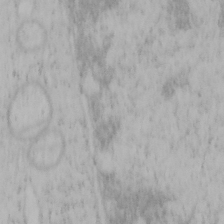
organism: Mouse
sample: OT-I killer T cells with ID8 ovarian cancer cells